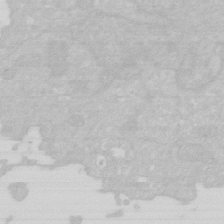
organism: Human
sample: HIV infected U937 cells